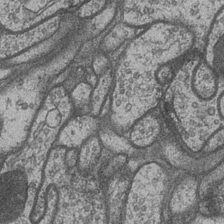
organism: Drosophila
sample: Optic medulla